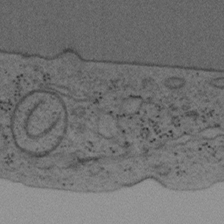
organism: Human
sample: HeLa cells